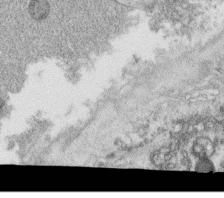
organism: C. elegans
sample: C. elegans oocyte; sperm cells